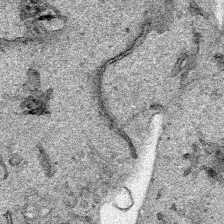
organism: Human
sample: Mitochondria in HCT116 cells